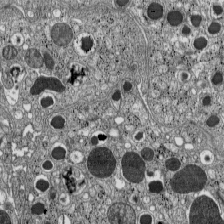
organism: C57BL Mouse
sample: Pancreatic islet